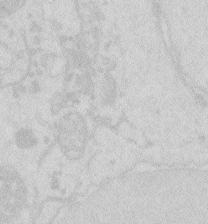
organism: Zebrafish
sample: Macrophage